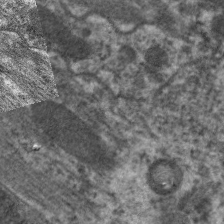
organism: C. elegans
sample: Pharynx